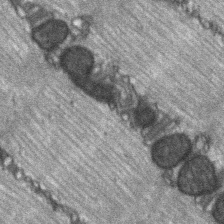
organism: C57BL Mouse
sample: Soleus